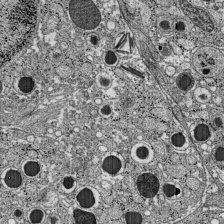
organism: C57BL Mouse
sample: Pancreatic islet